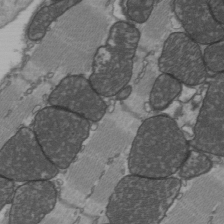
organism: C57BL Mouse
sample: Heart